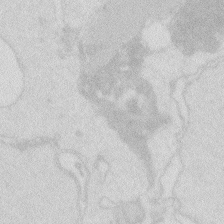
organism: Zebrafish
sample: Macrophage